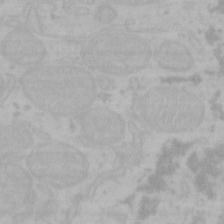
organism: Mouse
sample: Choroid plexus